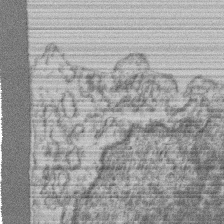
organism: Mouse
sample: T cell stromal cell synapse